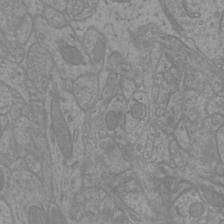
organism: Mouse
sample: Cortical neurons